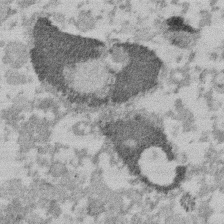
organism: Mouse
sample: Dividing mouse embryo 1 cell stage